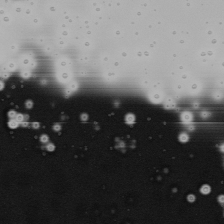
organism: Mouse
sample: Cancer cell death in ED-1 cells